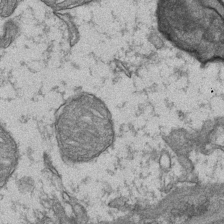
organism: Mouse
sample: CA1 Hippocampus